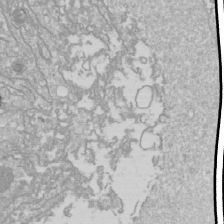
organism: Drosophila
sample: Cell division; meiosis; drosophila spermatocytes